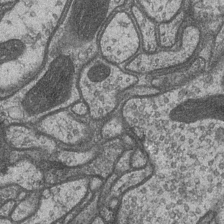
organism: Drosophila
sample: Optic medulla